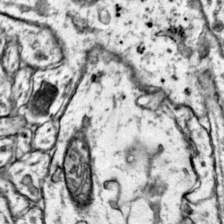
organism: Mouse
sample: Primary visual cortex